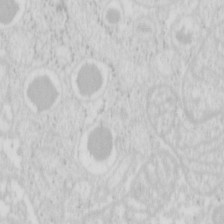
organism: Mouse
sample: Pancreas